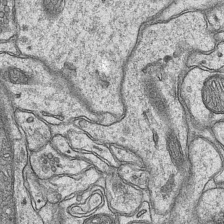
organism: Mouse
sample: CA1 Hippocampus